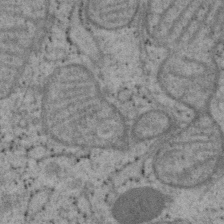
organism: Human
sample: HeLa cells